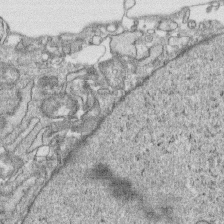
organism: Human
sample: CRL-1474